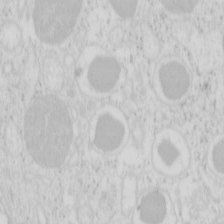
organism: Mouse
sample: Pancreas